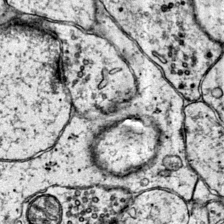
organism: Mouse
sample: Primary visual cortex